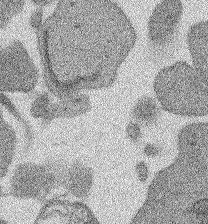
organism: Human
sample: HeLa cells